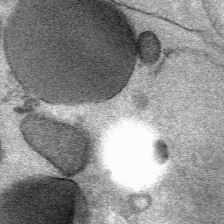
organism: Mouse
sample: Mouse Salivary gland